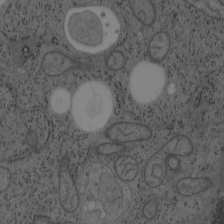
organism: Mouse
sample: OT-I killer T cells with ID8 ovarian cancer cells